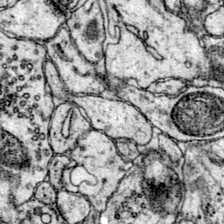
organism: Mouse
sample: Primary visual cortex